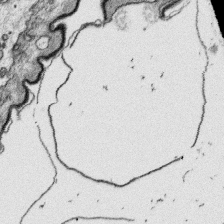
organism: Platynereis dumerilii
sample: Parapodia